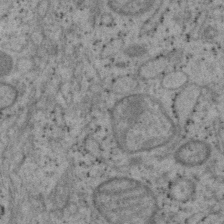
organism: Human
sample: HeLa cells